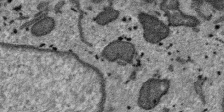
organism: Human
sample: Lung epithelial cells, uninfected (mock) control